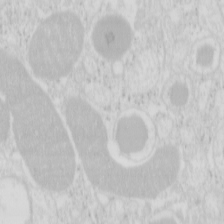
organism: Mouse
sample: Pancreas